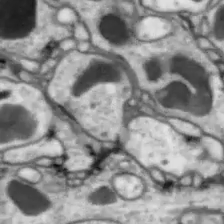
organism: Drosophila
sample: Optic lobe